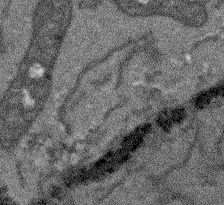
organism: Arabidopsis thaliana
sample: Root tip